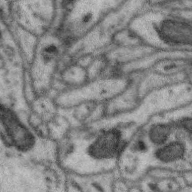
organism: Zebra finch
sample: Brain